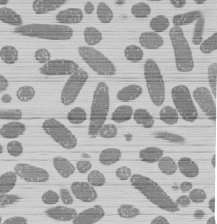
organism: E. coli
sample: Bacterial nucleoid